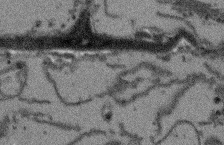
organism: Arabidopsis thaliana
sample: Root tip